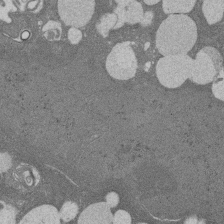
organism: Rat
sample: Salivary granule